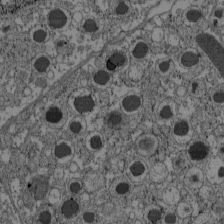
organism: C57BL Mouse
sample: Pancreatic islet